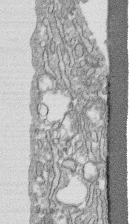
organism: Human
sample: CRL-1474